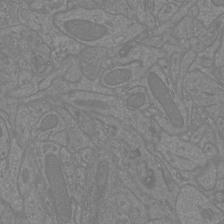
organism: Mouse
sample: Cortical neurons